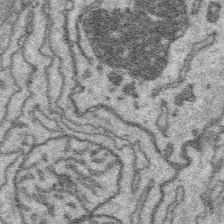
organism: Platynereis dumerilii